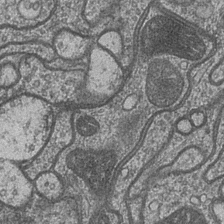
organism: Drosophila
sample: Optic medulla